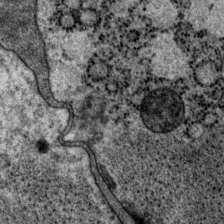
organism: P. pacificus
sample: Pharynx